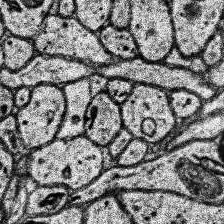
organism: Human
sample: Temporal Lobe